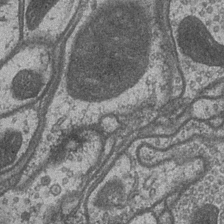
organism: Drosophila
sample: Optic medulla